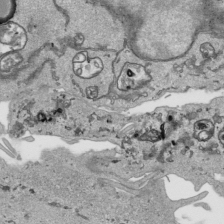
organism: Human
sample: Mitochondria in HCT116 cells